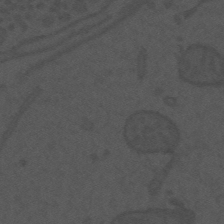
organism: Mouse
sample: Suprachiasmatic nucleus